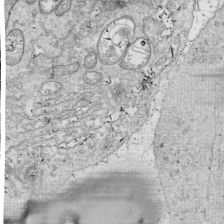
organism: Drosophila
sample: Cell division; meiosis; drosophila spermatocytes